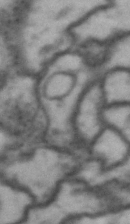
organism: Drosophila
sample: Brain